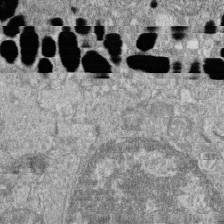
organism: Zebrafish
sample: Cilia; retinal pigment epithelium